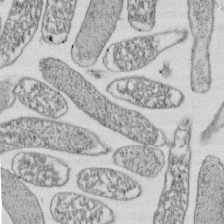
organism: E. coli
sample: Bacterial nucleoid